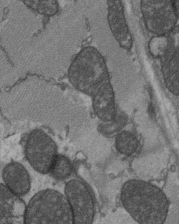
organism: C57BL Mouse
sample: Heart